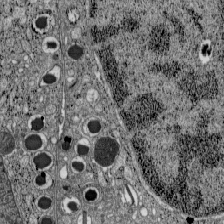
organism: C57BL Mouse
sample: Pancreatic islet